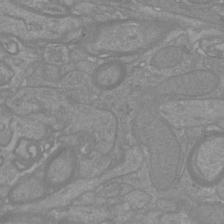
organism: Mouse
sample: Cortical neurons